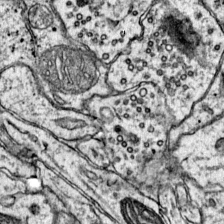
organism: Mouse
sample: Primary visual cortex